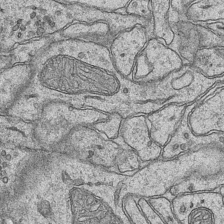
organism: Mouse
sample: CA1 Hippocampus